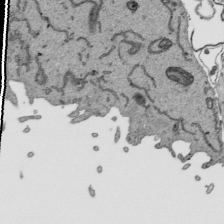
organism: Human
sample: Mitochondria in HCT116 cells